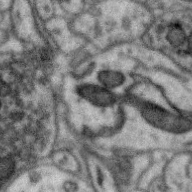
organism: Zebra finch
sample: Brain